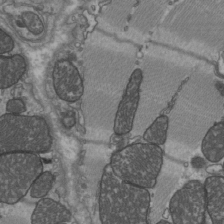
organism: C57BL Mouse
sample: Heart